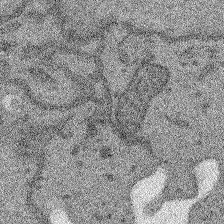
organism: Human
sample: HeLa cells